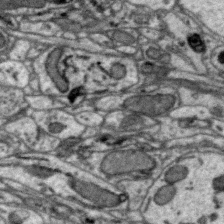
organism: Zebra finch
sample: Brain